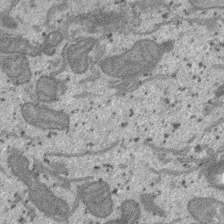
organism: Human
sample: Lung epithelial cells infected with SARS-CoV-2